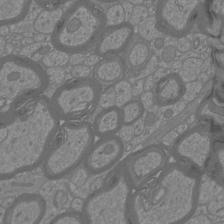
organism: Mouse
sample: Cortical neurons